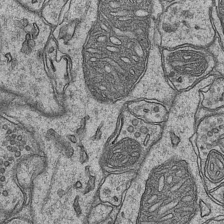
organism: Mouse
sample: CA1 Hippocampus